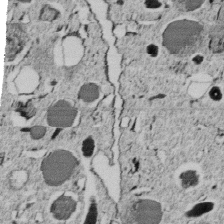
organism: C. elegans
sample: C. elegans embryo early stage